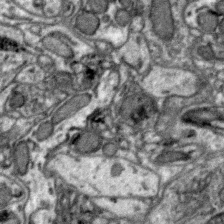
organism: Zebra finch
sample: Brain